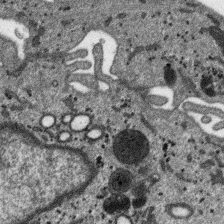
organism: Human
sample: Lung epithelial cells infected with SARS-CoV-2